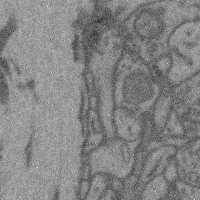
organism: Mouse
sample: Cerebral cortex